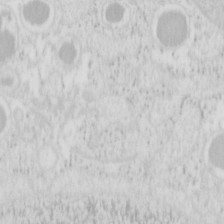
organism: Mouse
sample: Pancreas